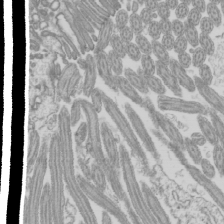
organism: Mouse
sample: Cilia; mouse epididymis